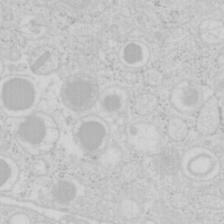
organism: Mouse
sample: Pancreas